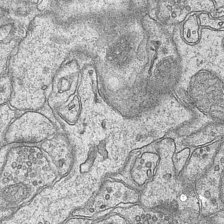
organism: Mouse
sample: CA1 Hippocampus